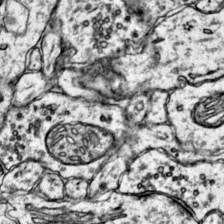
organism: Mouse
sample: Primary visual cortex